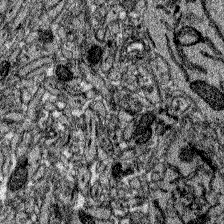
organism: Zebrafish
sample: Larval olfactory bulb